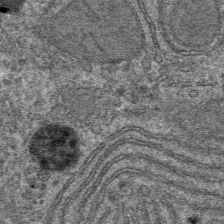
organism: Mouse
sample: Mouse hepatocytes